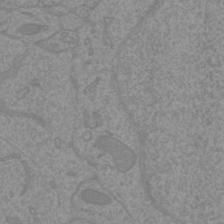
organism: Mouse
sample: Cortical neurons